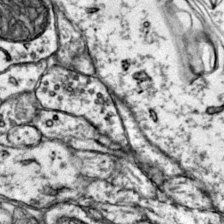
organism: Mouse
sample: Primary visual cortex